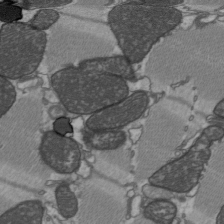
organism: C57BL Mouse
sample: Heart